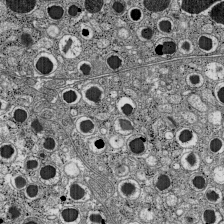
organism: C57BL Mouse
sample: Pancreatic islet